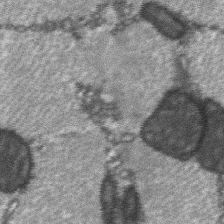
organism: C57BL Mouse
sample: Soleus